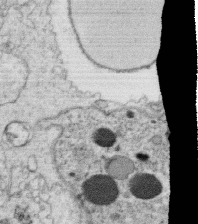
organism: C. elegans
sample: C. elegans oocyte; sperm cells